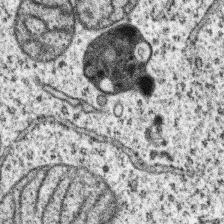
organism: Human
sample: HeLa cells